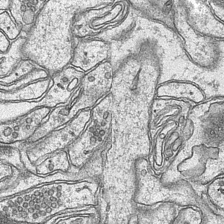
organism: Mouse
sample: CA1 Hippocampus